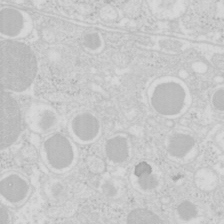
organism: Mouse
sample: Pancreas